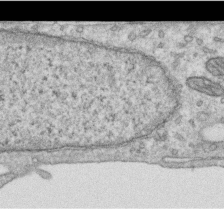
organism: Human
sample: Centriole in RPE cells